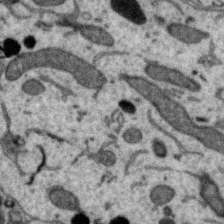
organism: Zebra finch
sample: Brain